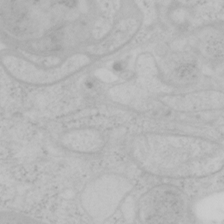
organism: Mouse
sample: OT-I killer T cells with ID8 ovarian cancer cells